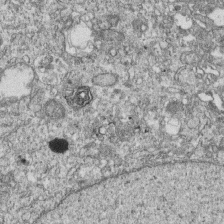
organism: Human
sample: HeLa cell HIV synapse